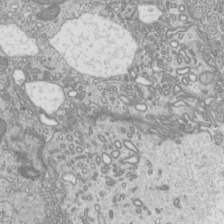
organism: Mouse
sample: Cilia; mouse epididymis